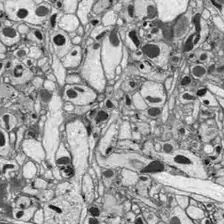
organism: Drosophila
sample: Optic lobe